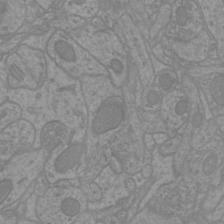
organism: Mouse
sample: Cortical neurons